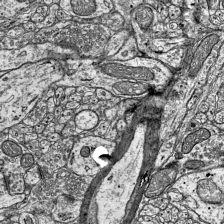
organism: Mouse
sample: Visual Cortex